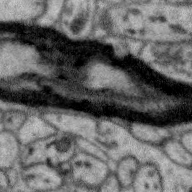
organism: Zebra finch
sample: Brain